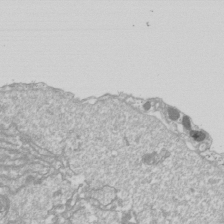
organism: Drosophila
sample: Cell division; meiosis; drosophila spermatocytes